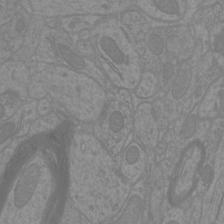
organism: Mouse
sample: Cortical neurons